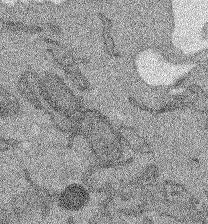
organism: Human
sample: HeLa cells